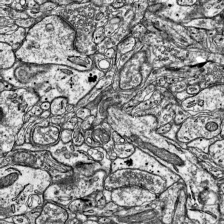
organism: Mouse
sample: Visual Cortex